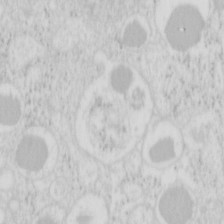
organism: Mouse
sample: Pancreas